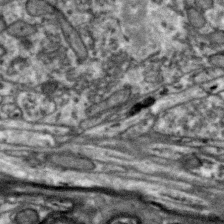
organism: Zebra finch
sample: Brain